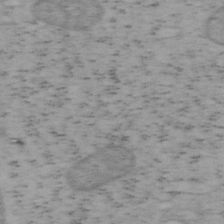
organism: Mouse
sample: OT-I killer T cells with ID8 ovarian cancer cells